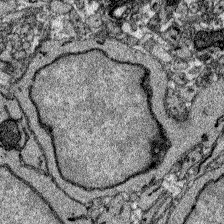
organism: Zebrafish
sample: Larval olfactory bulb